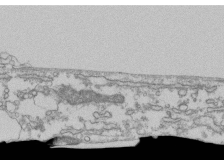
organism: Human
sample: Fibroblast cells